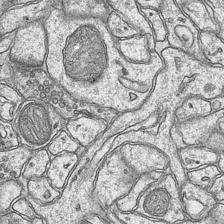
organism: Mouse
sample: CA1 Hippocampus